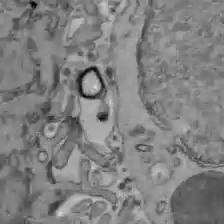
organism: C57BL Mouse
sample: Liver